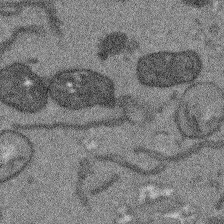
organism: Arabidopsis thaliana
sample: Root tip